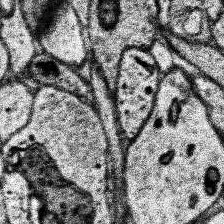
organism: Human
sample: Temporal Lobe